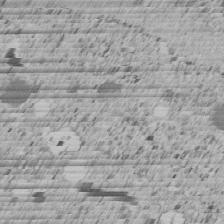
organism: C. elegans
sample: C. elegans embryo early stage